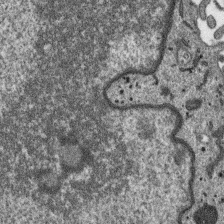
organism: Human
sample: Lung epithelial cells infected with SARS-CoV-2